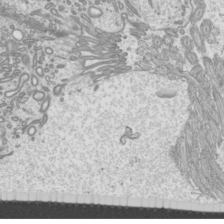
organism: Mouse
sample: Cilia; mouse epididymis